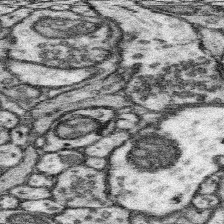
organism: Mouse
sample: Somatosensory cortex neuropil